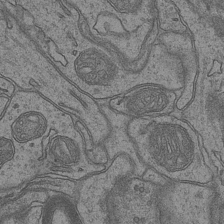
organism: Mouse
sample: CA1 Hippocampus